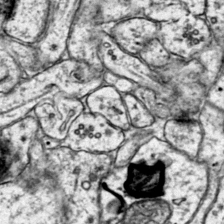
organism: Mouse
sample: Primary visual cortex